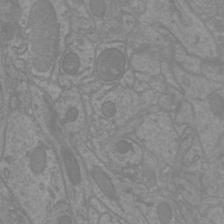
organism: Mouse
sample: Cortical neurons